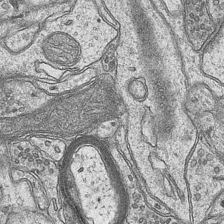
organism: Mouse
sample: CA1 Hippocampus